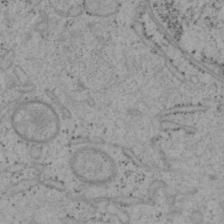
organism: Human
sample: HeLa cells